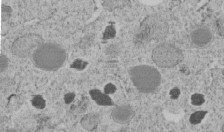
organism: C. elegans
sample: C. elegans embryo early stage